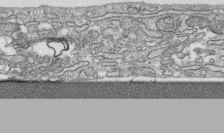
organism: Human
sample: CRL-1474